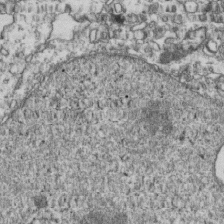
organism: Human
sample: Activated Jurkat CD4+ T cells